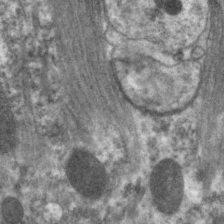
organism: C. elegans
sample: Pharynx